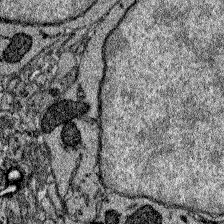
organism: Zebrafish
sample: Larval olfactory bulb